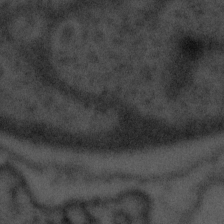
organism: Tuwongella immobilis